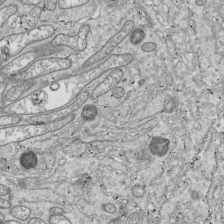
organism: Drosophila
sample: Cell division; meiosis; drosophila spermatocytes